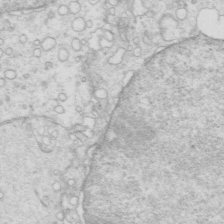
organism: Mouse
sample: Multiciliated cells